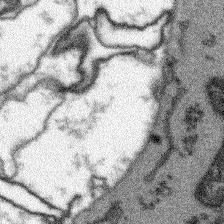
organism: Arabidopsis thaliana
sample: Root tip